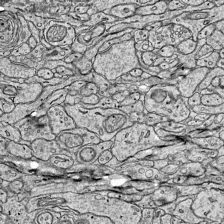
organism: Mouse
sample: Visual Cortex